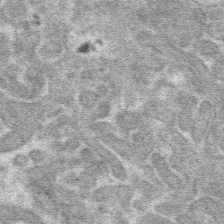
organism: Mouse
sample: Mouse hepatocytes